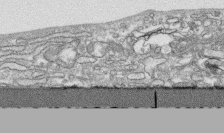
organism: Human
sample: CRL-1474